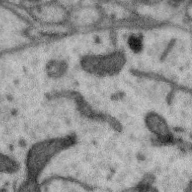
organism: Zebra finch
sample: Brain